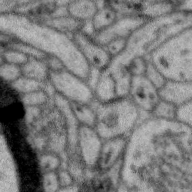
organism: Zebra finch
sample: Brain